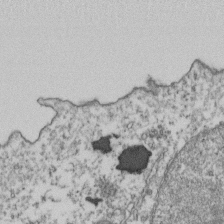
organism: Human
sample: Activated Jurkat CD4+ T cells